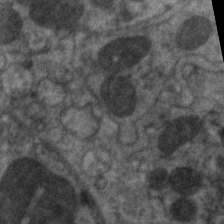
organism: C. elegans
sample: Pharynx